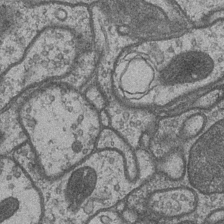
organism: Drosophila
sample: Optic medulla